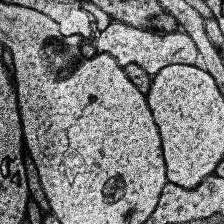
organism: Human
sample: Temporal Lobe